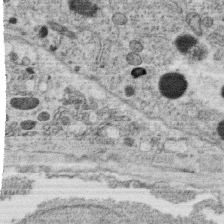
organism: C. elegans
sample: C. elegans oocyte; sperm cells